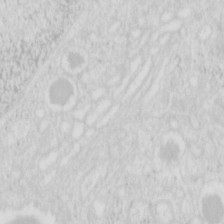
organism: Mouse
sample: Pancreas